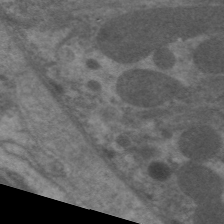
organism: C. elegans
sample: Pharynx